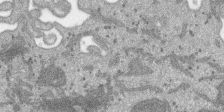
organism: Human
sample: Lung epithelial cells infected with SARS-CoV-2